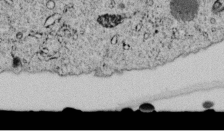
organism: C. elegans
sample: C. elegans embryo early stage